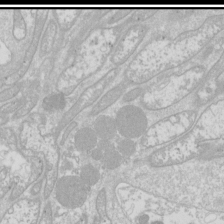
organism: Drosophila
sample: Cell division; meiosis; drosophila spermatocytes